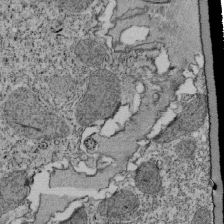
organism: Tetrahymena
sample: Cilia in tetrahymena